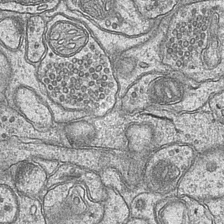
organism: Mouse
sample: CA1 Hippocampus